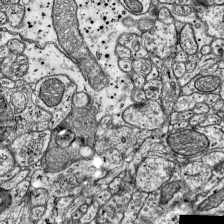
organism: Mouse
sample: Visual Cortex